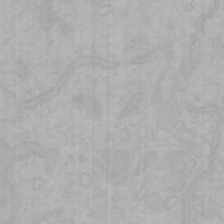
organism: Mouse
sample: Choroid plexus